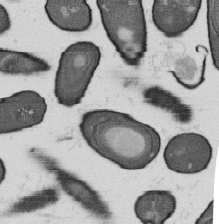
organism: B. subtilis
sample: Bacterial spore